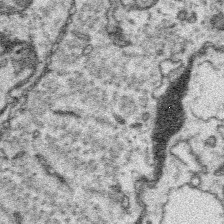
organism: Platynereis dumerilii